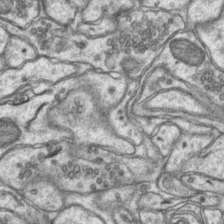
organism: Mouse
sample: CA1 Hippocampus